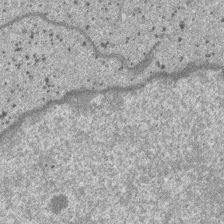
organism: Human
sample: Lung epithelial cells infected with SARS-CoV-2